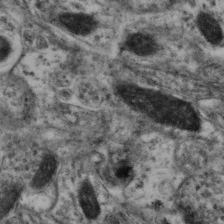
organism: Mouse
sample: Neocortex